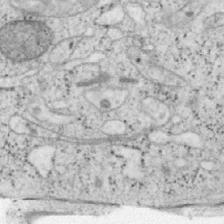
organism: Mouse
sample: OT-I killer T cells with ID8 ovarian cancer cells